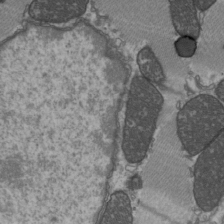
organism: C57BL Mouse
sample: Heart